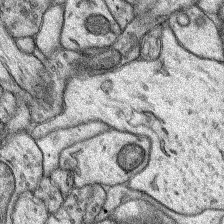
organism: Rat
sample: Hippocampus